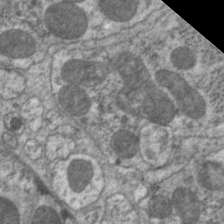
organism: C. elegans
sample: Pharynx